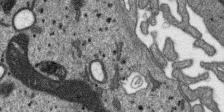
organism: Human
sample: Lung epithelial cells infected with SARS-CoV-2